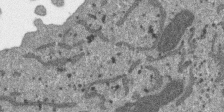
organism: Human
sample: Lung epithelial cells infected with SARS-CoV-2